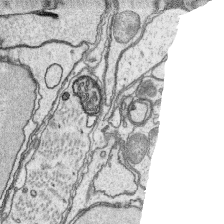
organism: Platynereis dumerilii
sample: Parapodia